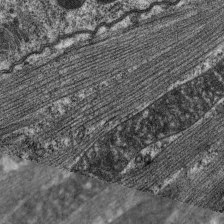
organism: C. elegans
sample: Pharynx